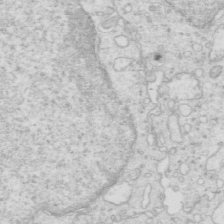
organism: Mouse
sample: Multiciliated cells